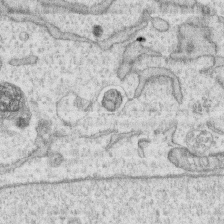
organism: Human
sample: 1205lu cells